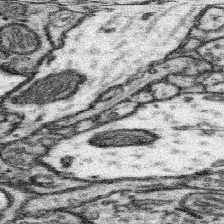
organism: Mouse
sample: Somatosensory cortex neuropil